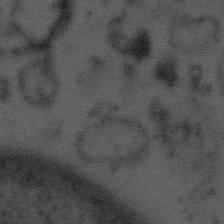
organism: Tuwongella immobilis